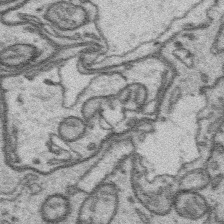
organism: Platynereis dumerilii